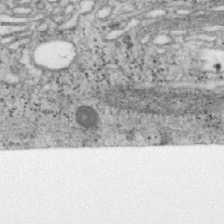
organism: Mouse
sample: OT-I killer T cells with ID8 ovarian cancer cells